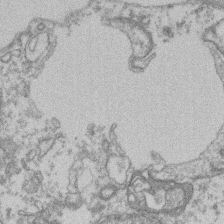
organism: Mouse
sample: T cell stromal cell synapse